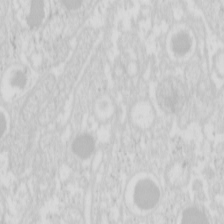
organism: Mouse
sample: Pancreas